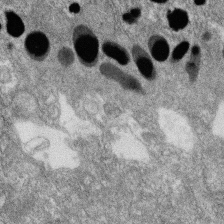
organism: Zebrafish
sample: Cilia; retinal pigment epithelium